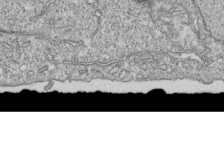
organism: Human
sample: HeLa cell HIV synapse